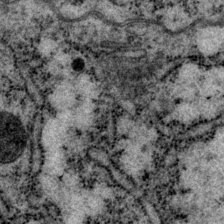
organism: P. pacificus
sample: Pharynx